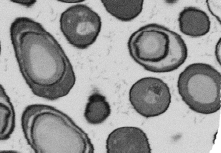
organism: B. subtilis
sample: Bacterial spore